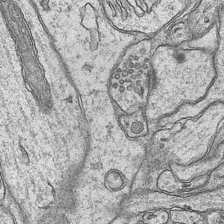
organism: Mouse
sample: CA1 Hippocampus